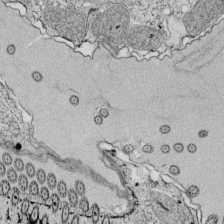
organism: Tetrahymena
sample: Cilia in tetrahymena